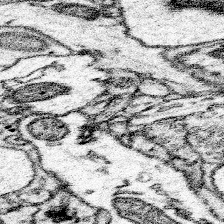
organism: Mouse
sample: Somatosensory cortex neuropil